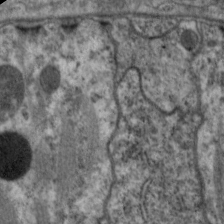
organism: C. elegans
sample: Pharynx